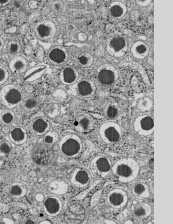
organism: C57BL Mouse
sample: Pancreatic islet